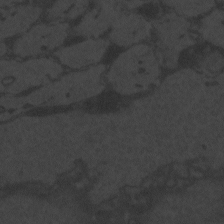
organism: Zebrafish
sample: Macrophage infected with Toxoplasma gondii